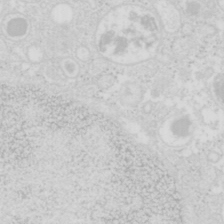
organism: Mouse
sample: Pancreas